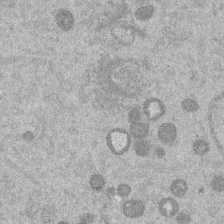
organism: Mouse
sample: Dividing mouse embryo 1 cell stage